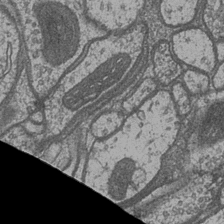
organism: Drosophila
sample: Optic medulla